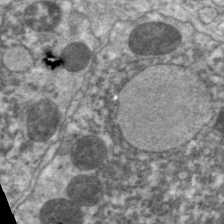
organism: C. elegans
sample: Pharynx